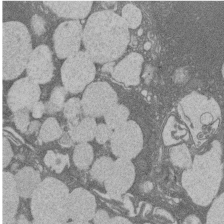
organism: Rat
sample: Salivary granule